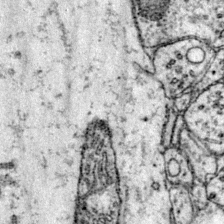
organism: Mouse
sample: Primary visual cortex